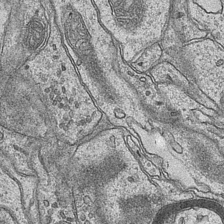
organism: Mouse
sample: CA1 Hippocampus